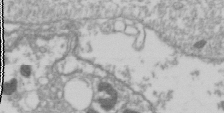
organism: Drosophila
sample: Cell division; meiosis; drosophila spermatocytes